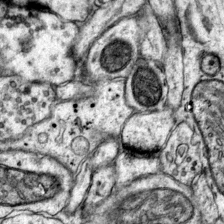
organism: Mouse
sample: Primary visual cortex